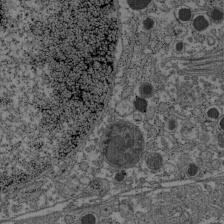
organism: C57BL Mouse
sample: Pancreatic islet